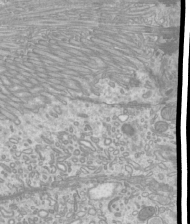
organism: Mouse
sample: Cilia; mouse epididymis